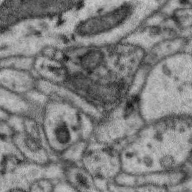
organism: Zebra finch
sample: Brain